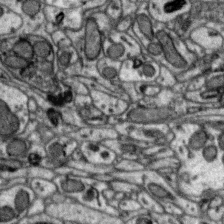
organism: Zebra finch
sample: Brain